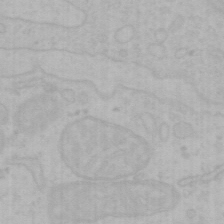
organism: Mouse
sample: Choroid plexus